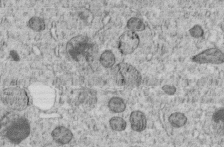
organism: C. elegans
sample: C. elegans embryo early stage